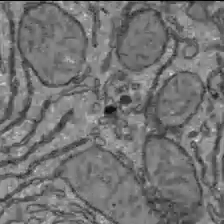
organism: C57BL Mouse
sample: Liver